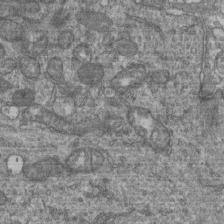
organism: Human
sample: Retinal organoid Rod and Cone cells